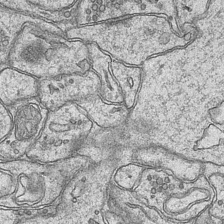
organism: Mouse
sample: CA1 Hippocampus